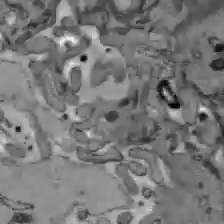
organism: C57BL Mouse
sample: Liver